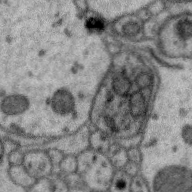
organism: Zebra finch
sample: Brain